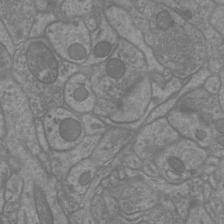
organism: Mouse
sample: Cortical neurons